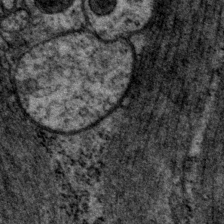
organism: P. pacificus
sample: Pharynx